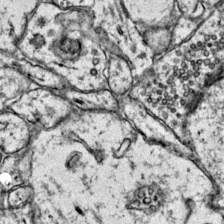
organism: Mouse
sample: Primary visual cortex